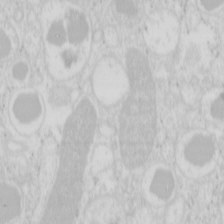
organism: Mouse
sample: Pancreas